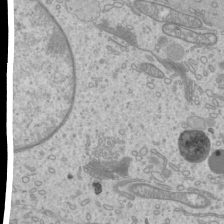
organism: Mouse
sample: Cilia; mouse epididymis